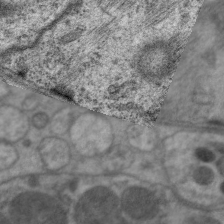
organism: C. elegans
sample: Pharynx